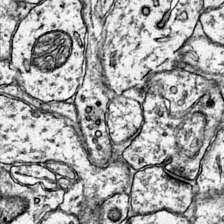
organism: Mouse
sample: Primary visual cortex